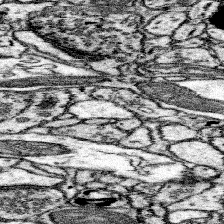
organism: Mouse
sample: Somatosensory cortex neuropil